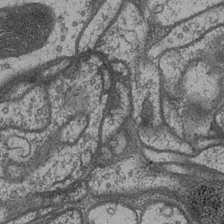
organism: Drosophila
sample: Optic medulla